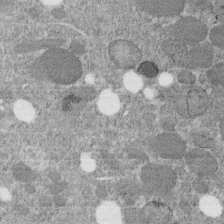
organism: C. elegans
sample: C. elegans embryo early stage